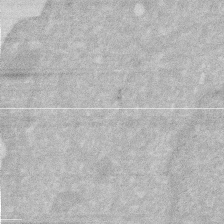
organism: Human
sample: HIV infected U937 cells